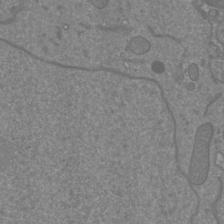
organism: Mouse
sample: Cortical neurons